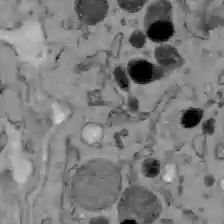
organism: C57BL Mouse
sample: Liver